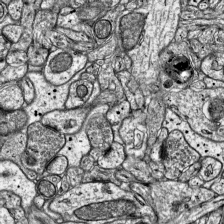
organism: Mouse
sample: Visual Cortex